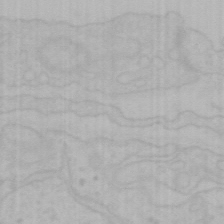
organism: Mouse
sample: Choroid plexus